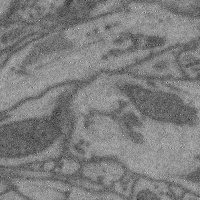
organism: Mouse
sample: Cerebral cortex